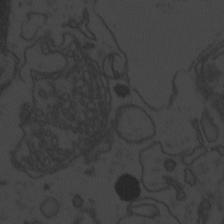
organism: Zebrafish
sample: Macrophage infected with Toxoplasma gondii